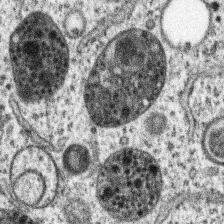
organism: Human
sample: HeLa cells